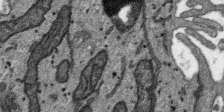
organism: Human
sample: Lung epithelial cells, uninfected (mock) control